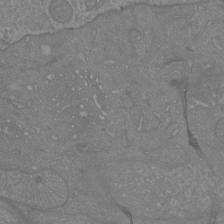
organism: Mouse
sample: Cortical neurons